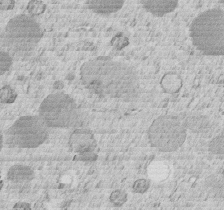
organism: C. elegans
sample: C. elegans embryo early stage